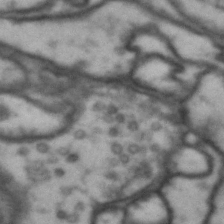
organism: Drosophila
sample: Brain